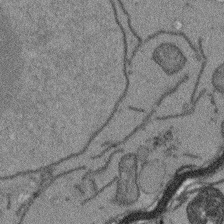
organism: Arabidopsis thaliana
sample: Root tip